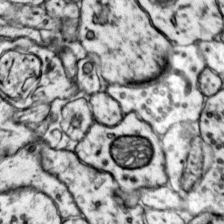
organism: Mouse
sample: Primary visual cortex